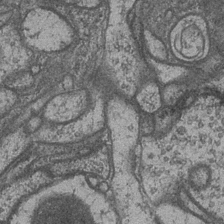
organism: Drosophila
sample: Optic medulla